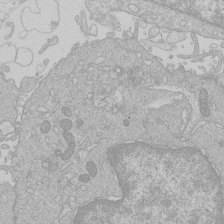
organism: Human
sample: Macrophage cells